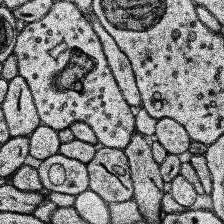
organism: Human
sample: Temporal Lobe